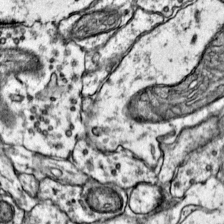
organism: Mouse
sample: Primary visual cortex